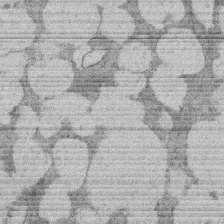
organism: Rat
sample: Salivary granule